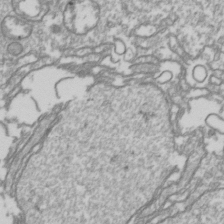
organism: Drosophila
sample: Cell division; meiosis; drosophila spermatocytes